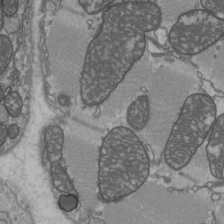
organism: C57BL Mouse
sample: Heart